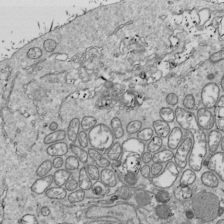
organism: Drosophila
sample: Cell division; meiosis; drosophila spermatocytes